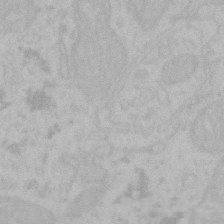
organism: Mouse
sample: Choroid plexus